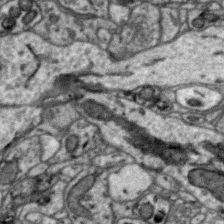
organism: Zebra finch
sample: Brain